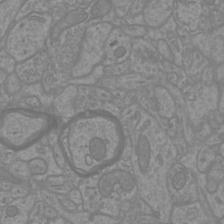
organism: Mouse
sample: Cortical neurons